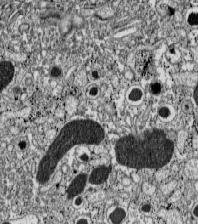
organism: C57BL Mouse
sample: Pancreatic islet